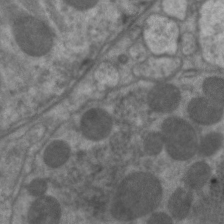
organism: C. elegans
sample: Pharynx